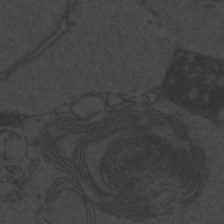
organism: Zebrafish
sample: Macrophage infected with Toxoplasma gondii